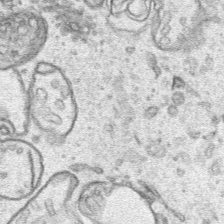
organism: Human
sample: Mitochondria in HCT116 cells